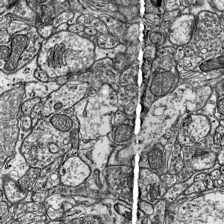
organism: Mouse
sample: Visual Cortex